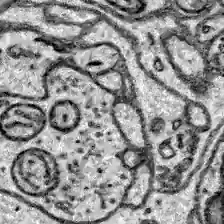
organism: Zebrafish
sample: Brain